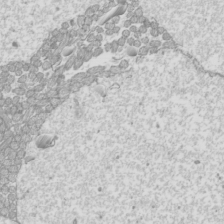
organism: Mouse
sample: Cilia; mouse epididymis